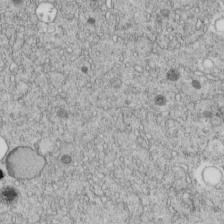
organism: C. elegans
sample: C. elegans embryo early stage